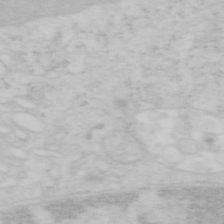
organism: Mouse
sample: OT-I killer T cells with ID8 ovarian cancer cells